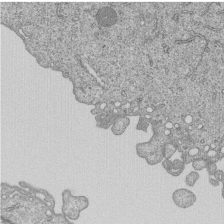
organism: Human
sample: MDA-MB-231 cells